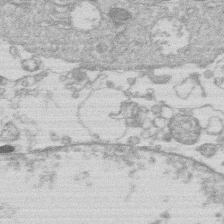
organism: Human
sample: Macrophage cells